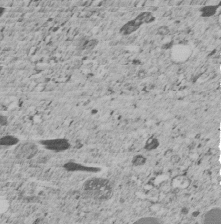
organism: C. elegans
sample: C. elegans embryo early stage